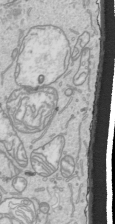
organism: Human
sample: Mitochondria in HCT116 cells